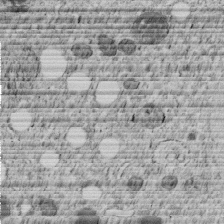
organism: C. elegans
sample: C. elegans embryo early stage